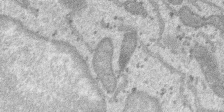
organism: Human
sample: Lung epithelial cells infected with SARS-CoV-2